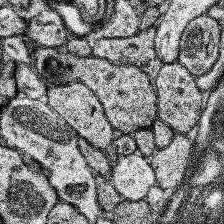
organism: Human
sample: Temporal Lobe